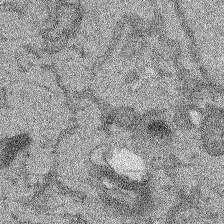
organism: Human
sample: HeLa cells